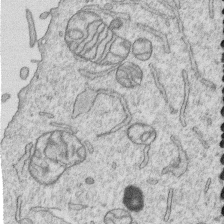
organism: Human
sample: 1205lu cells